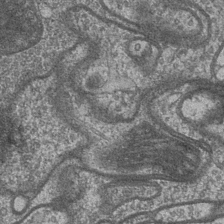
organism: Drosophila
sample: Optic medulla